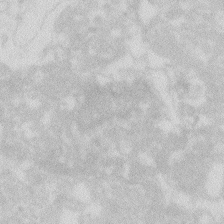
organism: Zebrafish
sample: Macrophage